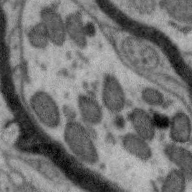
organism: Zebra finch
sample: Brain